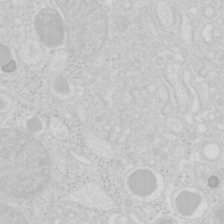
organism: Mouse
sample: Pancreas